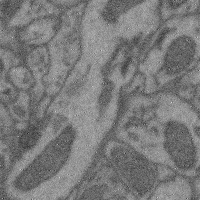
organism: Mouse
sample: Cerebral cortex